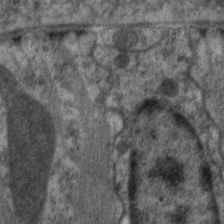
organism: C. elegans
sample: Pharynx